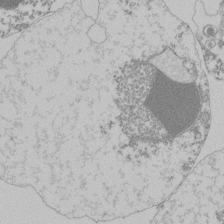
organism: Mouse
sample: Activated Pmel transgenic CD8+ T Cells